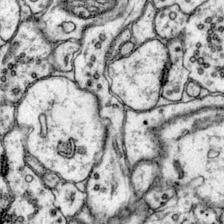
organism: Mouse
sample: Primary visual cortex